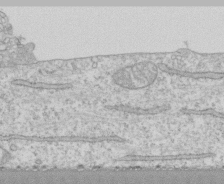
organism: Human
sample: CRL-1474